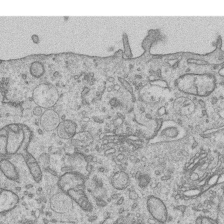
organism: Human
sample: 1205lu cells